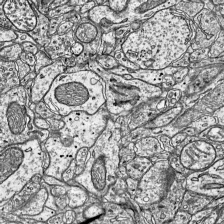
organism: Mouse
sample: Visual Cortex